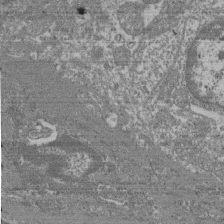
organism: Mouse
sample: Glomerulus